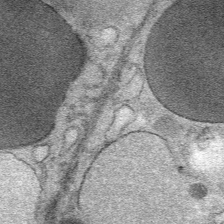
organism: Mouse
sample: Mouse Salivary gland